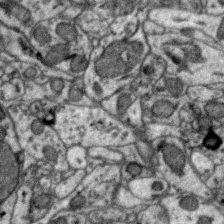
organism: Zebra finch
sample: Brain